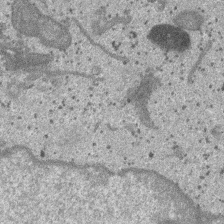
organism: Human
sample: Lung epithelial cells infected with SARS-CoV-2